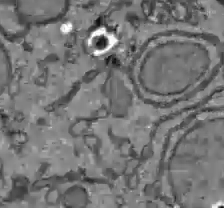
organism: C57BL Mouse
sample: Liver